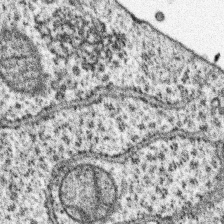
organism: Human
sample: HeLa cells